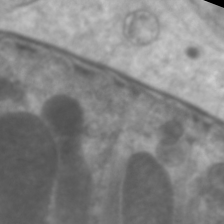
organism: C. elegans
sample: Pharynx